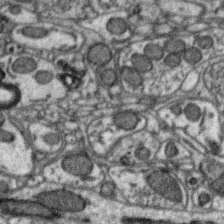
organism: Zebra finch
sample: Brain